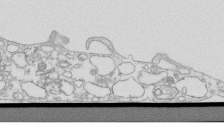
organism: Mouse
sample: Macrophages